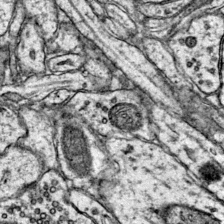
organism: Mouse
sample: Primary visual cortex